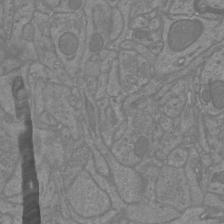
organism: Mouse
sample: Cortical neurons